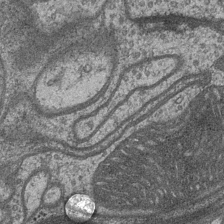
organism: Drosophila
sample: Optic medulla